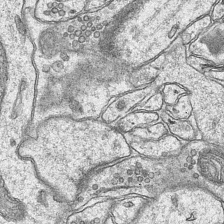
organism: Mouse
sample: CA1 Hippocampus